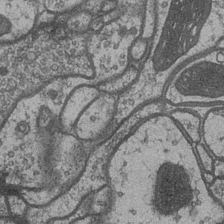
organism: Drosophila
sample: Optic medulla